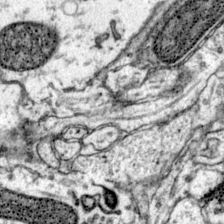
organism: Mouse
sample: Primary visual cortex